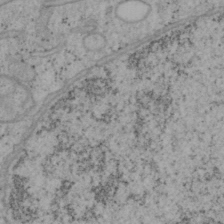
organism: Human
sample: HeLa cells